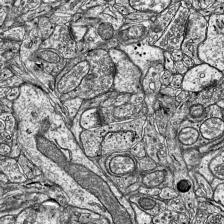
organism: Mouse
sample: Visual Cortex